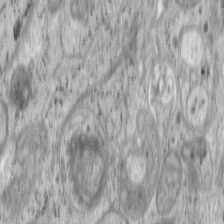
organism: Human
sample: HeLa cells